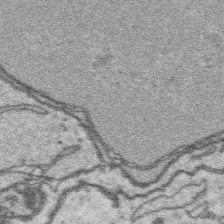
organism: Platynereis dumerilii